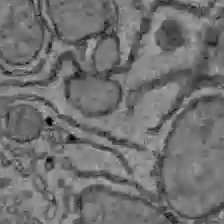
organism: C57BL Mouse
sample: Liver